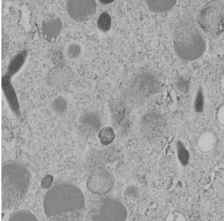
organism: C. elegans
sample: C. elegans embryo early stage